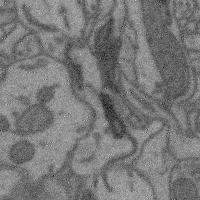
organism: Mouse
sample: Cerebral cortex